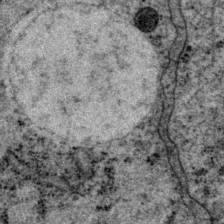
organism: P. pacificus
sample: Pharynx